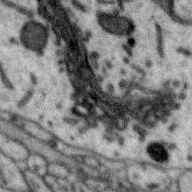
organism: Zebra finch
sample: Brain